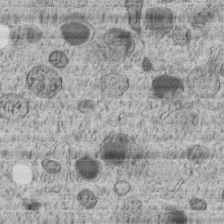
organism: C. elegans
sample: C. elegans embryo early stage